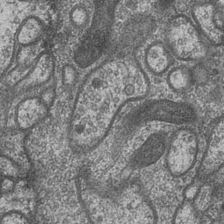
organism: Drosophila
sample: Optic medulla